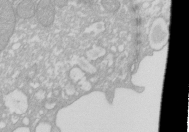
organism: Xenopus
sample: Cilia; centrioles in frog embryo cells